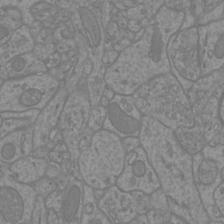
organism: Mouse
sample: Cortical neurons